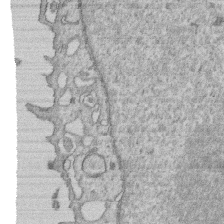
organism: Human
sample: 1205lu cells